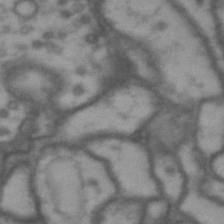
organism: Drosophila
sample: Brain